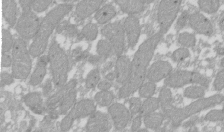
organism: Xenopus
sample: Cilia; centrioles in frog embryo cells